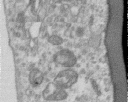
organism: Human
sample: Centriole in RPE cells